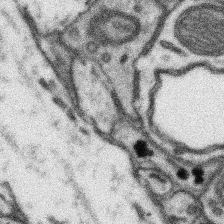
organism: Mouse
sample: Somatosensory cortex neuropil